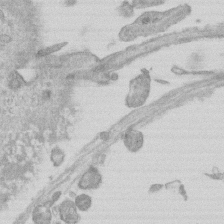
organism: Mouse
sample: Centriole in ependymal cells